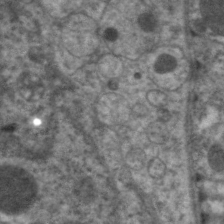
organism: C. elegans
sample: Pharynx